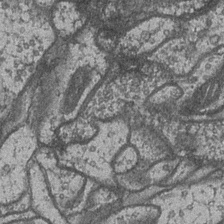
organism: Drosophila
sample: Optic medulla